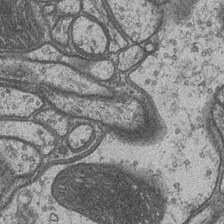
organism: Drosophila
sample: Optic medulla